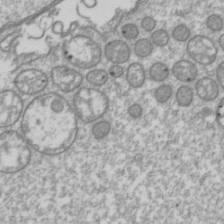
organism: Drosophila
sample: Cell division; meiosis; drosophila spermatocytes